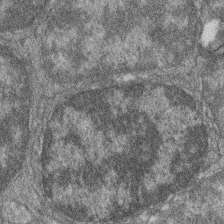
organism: Zebrafish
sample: Cilia; retinal pigment epithelium